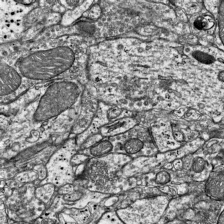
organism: Mouse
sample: Visual Cortex